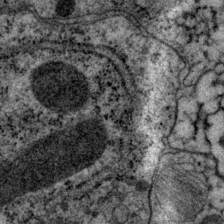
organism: P. pacificus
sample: Pharynx